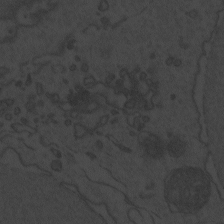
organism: Zebrafish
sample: Macrophage infected with Toxoplasma gondii